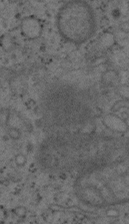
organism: Human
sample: HeLa cells